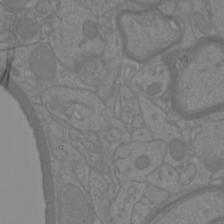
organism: Mouse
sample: Cortical neurons